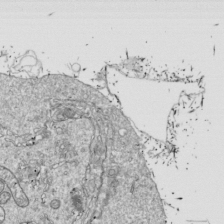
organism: Drosophila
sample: Cell division; meiosis; drosophila spermatocytes